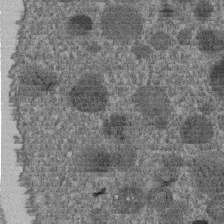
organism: C. elegans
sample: C. elegans embryo early stage